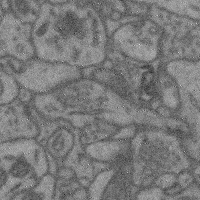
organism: Mouse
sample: Cerebral cortex